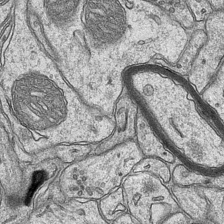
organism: Mouse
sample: CA1 Hippocampus